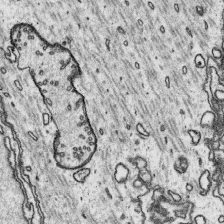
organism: Platynereis dumerilii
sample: Parapodia